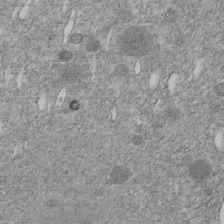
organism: C. elegans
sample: C. elegans embryo early stage